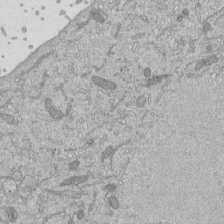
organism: Mouse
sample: ED-1 cell nuclei; centrioles